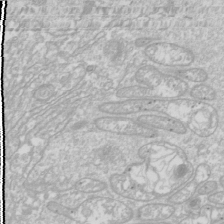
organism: Drosophila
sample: Cell division; meiosis; drosophila spermatocytes